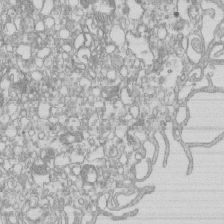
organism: Mouse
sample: Macrophages